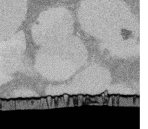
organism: Rat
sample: Salivary granule